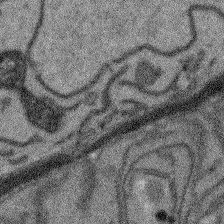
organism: Arabidopsis thaliana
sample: Root tip